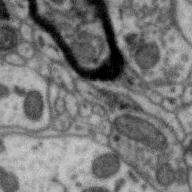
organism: Zebra finch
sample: Brain